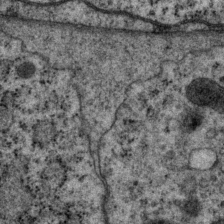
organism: P. pacificus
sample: Pharynx